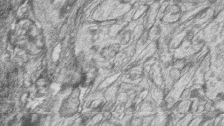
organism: Zebrafish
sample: synaptic ribbons in rod cells and cone cells